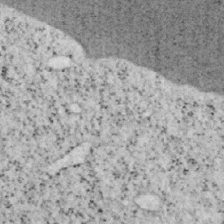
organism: Mouse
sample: OT-I killer T cells with ID8 ovarian cancer cells